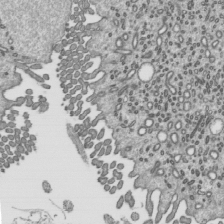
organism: Mouse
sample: Mouse epididymis efferent ductule cilia